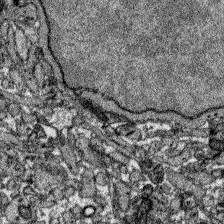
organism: Zebrafish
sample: Larval olfactory bulb